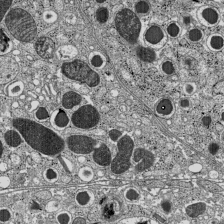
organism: C57BL Mouse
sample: Pancreatic islet